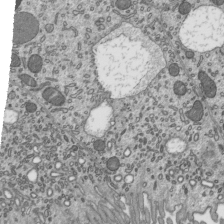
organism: Mouse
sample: Mouse epididymis efferent ductule cilia